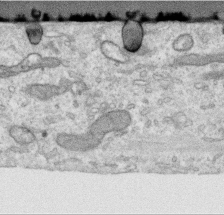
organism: Human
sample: Centriole in RPE cells